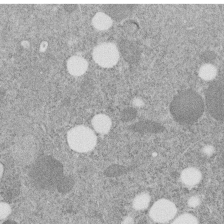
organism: C. elegans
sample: C. elegans embryo early stage